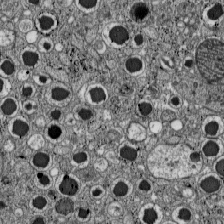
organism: C57BL Mouse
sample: Pancreatic islet